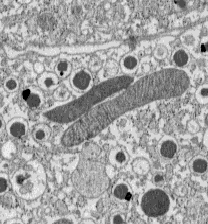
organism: C57BL Mouse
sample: Pancreatic islet